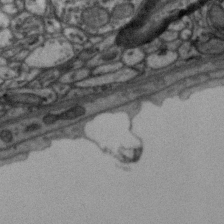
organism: Zebra finch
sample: Brain